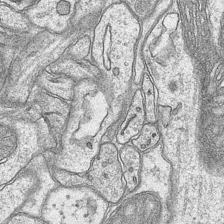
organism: Mouse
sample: CA1 Hippocampus